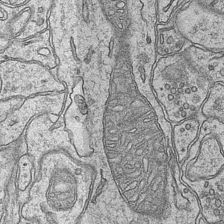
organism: Mouse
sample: CA1 Hippocampus